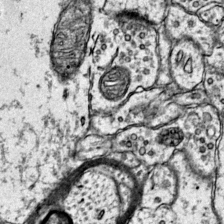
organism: Mouse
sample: Primary visual cortex